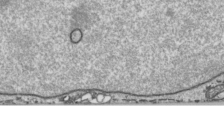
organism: Human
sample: Mitochondria in HCT116 cells